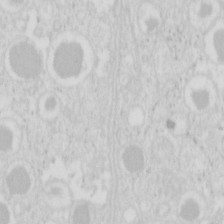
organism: Mouse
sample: Pancreas